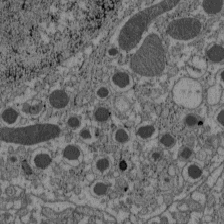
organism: C57BL Mouse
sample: Pancreatic islet